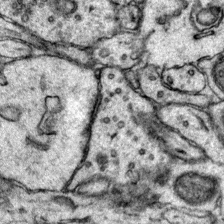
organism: Mouse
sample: Primary visual cortex